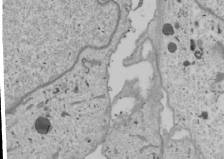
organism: Human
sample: Mitochondria in U2OS cells